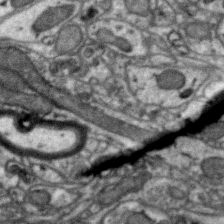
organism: Zebra finch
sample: Brain